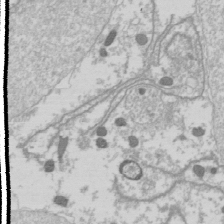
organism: Drosophila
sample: Cell division; meiosis; drosophila spermatocytes